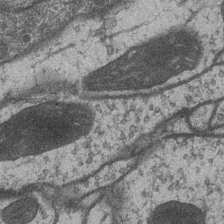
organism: Drosophila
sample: Optic medulla